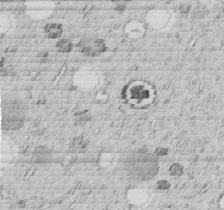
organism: C. elegans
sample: C. elegans embryo early stage